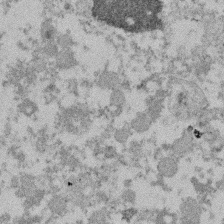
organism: Mouse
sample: Dividing mouse embryo 1 cell stage